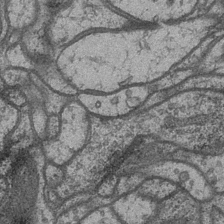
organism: Drosophila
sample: Optic medulla